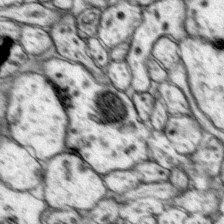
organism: Mouse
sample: Primary visual cortex